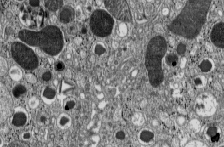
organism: C57BL Mouse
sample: Pancreatic islet